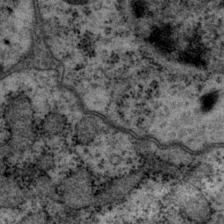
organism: P. pacificus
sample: Pharynx